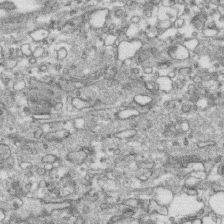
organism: Human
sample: CRL-1474